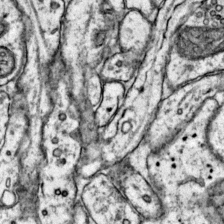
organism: Mouse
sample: Primary visual cortex